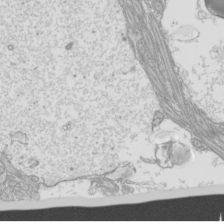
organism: Mouse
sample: Cilia; mouse epididymis